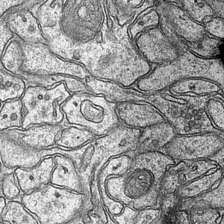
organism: Mouse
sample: CA1 Hippocampus